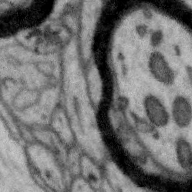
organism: Zebra finch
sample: Brain